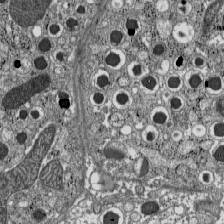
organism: C57BL Mouse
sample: Pancreatic islet